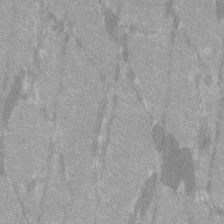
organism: C57BL Mouse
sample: Tibialis anterior muscle cell